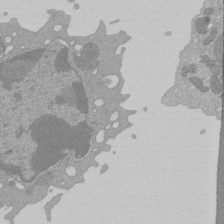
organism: Mouse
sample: Activated Pmel transgenic CD8+ T Cells